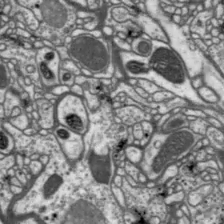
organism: Drosophila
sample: Protocerebral bridge